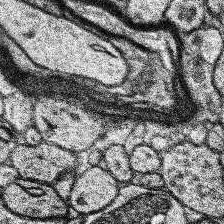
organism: Human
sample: Temporal Lobe